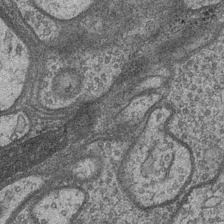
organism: Drosophila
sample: Optic medulla